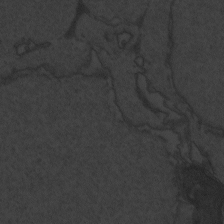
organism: Zebrafish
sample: Macrophage infected with Toxoplasma gondii